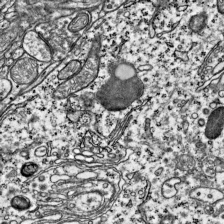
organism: Mouse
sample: Visual Cortex